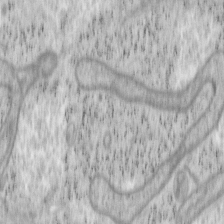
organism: Human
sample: HeLa cells